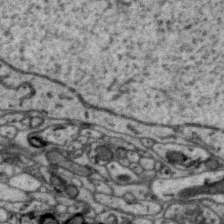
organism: Zebra finch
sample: Brain